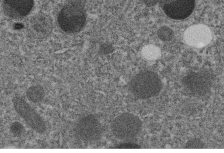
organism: C. elegans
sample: C. elegans embryo early stage